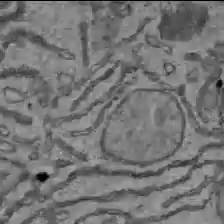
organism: C57BL Mouse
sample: Liver